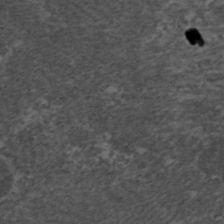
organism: C. elegans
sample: Pharynx